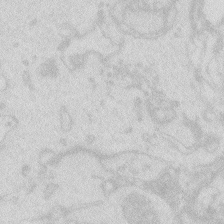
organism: Zebrafish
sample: Macrophage